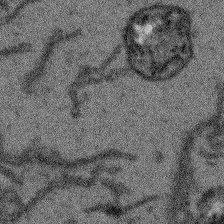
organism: Arabidopsis thaliana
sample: Root tip